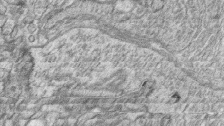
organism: Zebrafish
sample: synaptic ribbons in rod cells and cone cells